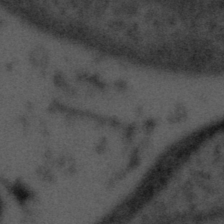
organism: Tuwongella immobilis